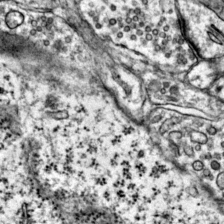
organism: Mouse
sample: Primary visual cortex